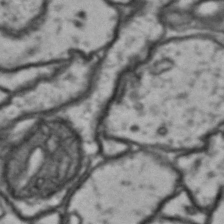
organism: Drosophila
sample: Brain